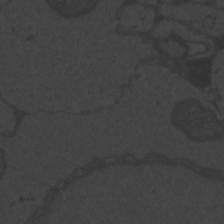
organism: Zebrafish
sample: Macrophage infected with Toxoplasma gondii